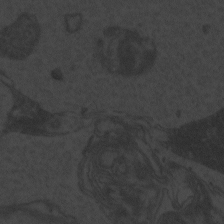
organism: Zebrafish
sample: Macrophage infected with Toxoplasma gondii